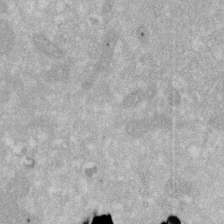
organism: Human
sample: HIV infected U937 cells